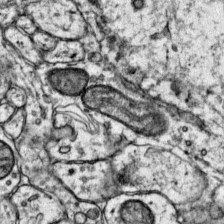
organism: Mouse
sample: Primary visual cortex